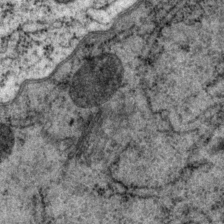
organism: P. pacificus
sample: Pharynx